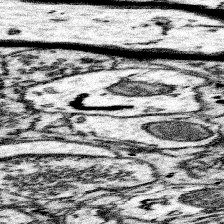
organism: Mouse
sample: Somatosensory cortex neuropil